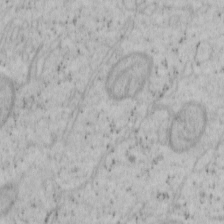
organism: Human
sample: HeLa cells